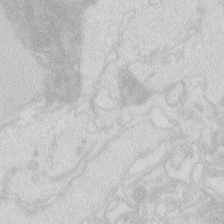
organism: Zebrafish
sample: Macrophage